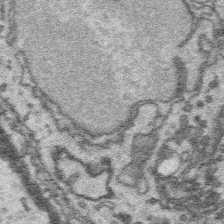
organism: Platynereis dumerilii